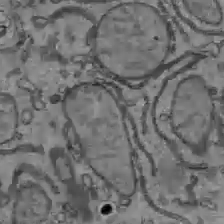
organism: C57BL Mouse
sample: Liver